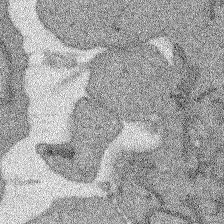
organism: Human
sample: HeLa cells